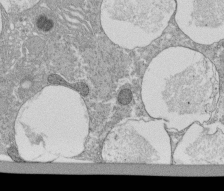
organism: Tetrahymena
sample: Cilia in tetrahymena